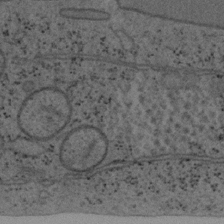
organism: Human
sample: HeLa cells